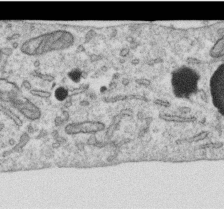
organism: Human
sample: Centriole in RPE cells